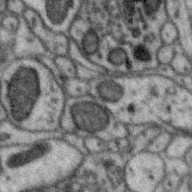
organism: Zebra finch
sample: Brain